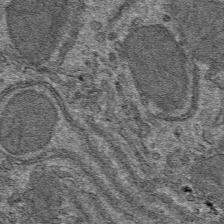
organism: Mouse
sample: Mouse hepatocytes